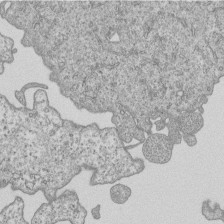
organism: Human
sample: MDA-MB-231 cells